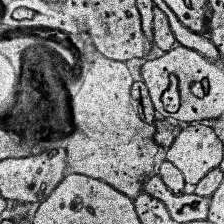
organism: Human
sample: Temporal Lobe